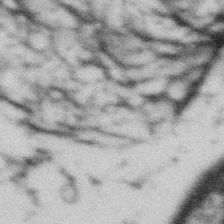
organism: Gemmata obscuriglobus